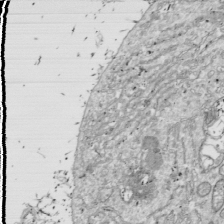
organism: Drosophila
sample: Cell division; meiosis; drosophila spermatocytes